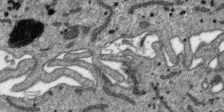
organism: Human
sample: Lung epithelial cells, uninfected (mock) control